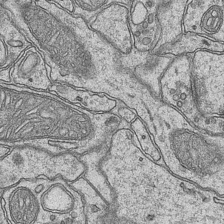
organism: Mouse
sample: CA1 Hippocampus